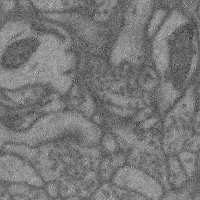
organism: Mouse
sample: Cerebral cortex